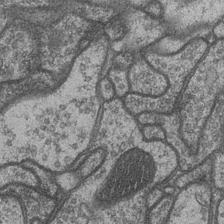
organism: Drosophila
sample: Optic medulla